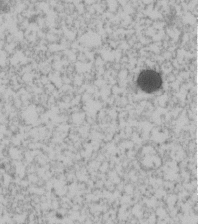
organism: Human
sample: U2-OS cells